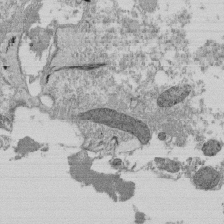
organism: Tetrahymena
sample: Cilia in tetrahymena